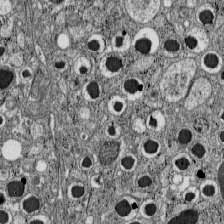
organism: C57BL Mouse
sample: Pancreatic islet